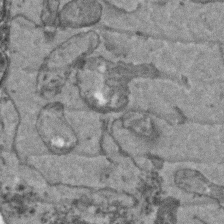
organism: Arabidopsis thaliana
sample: Root tip